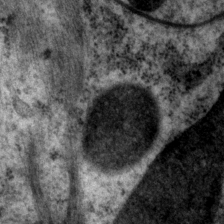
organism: P. pacificus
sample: Pharynx